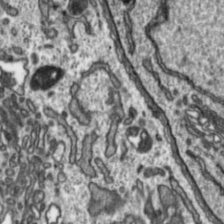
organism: Toxoplasma gondii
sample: Parasites in a vacuole inside a host cell